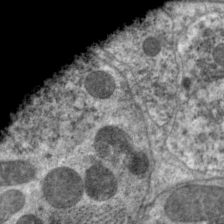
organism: C. elegans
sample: Pharynx